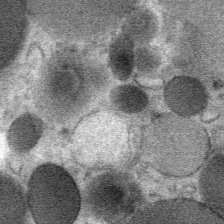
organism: Mouse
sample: Mouse Salivary gland